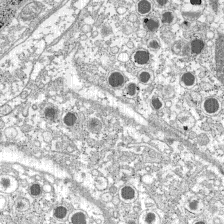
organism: C57BL Mouse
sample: Pancreatic islet